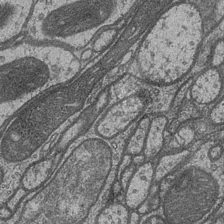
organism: Drosophila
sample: Optic medulla